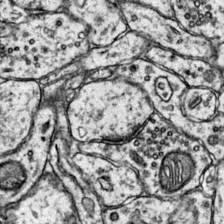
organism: Mouse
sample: Primary visual cortex